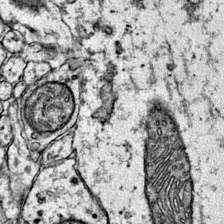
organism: Mouse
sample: Primary visual cortex